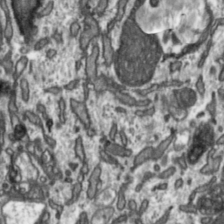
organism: Toxoplasma gondii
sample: Parasites in a vacuole inside a host cell